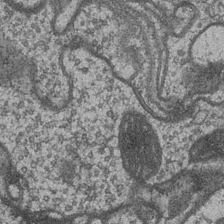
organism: Drosophila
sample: Optic medulla